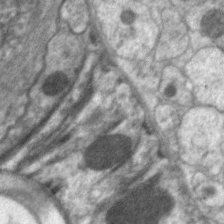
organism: C. elegans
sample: Pharynx